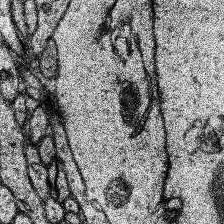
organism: Human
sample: Temporal Lobe